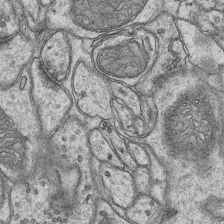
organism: Mouse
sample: CA1 Hippocampus